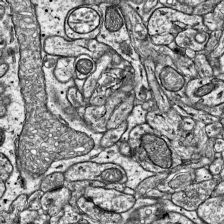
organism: Mouse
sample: Visual Cortex